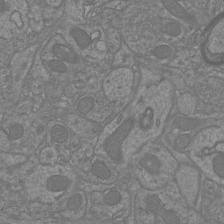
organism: Mouse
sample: Cortical neurons